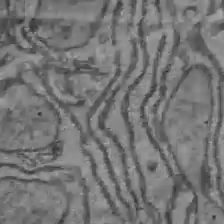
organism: C57BL Mouse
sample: Liver